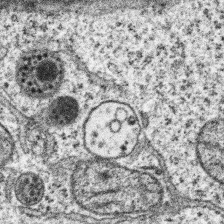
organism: Human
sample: HeLa cells